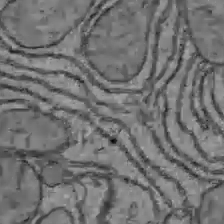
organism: C57BL Mouse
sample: Liver